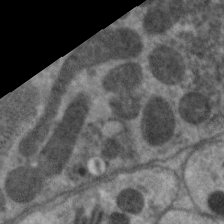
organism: C. elegans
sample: Pharynx